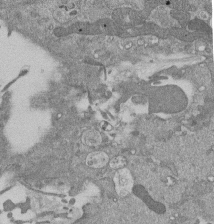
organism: Mouse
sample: ED-1 cell nuclei; centrioles